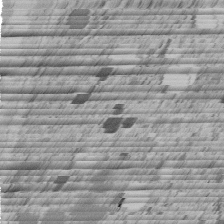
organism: C. elegans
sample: C. elegans embryo early stage